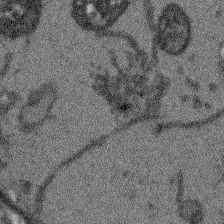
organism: Arabidopsis thaliana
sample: Root tip